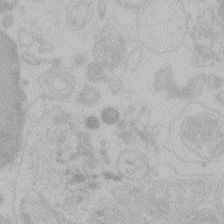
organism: Zebrafish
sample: Macrophage infected with Toxoplasma gondii